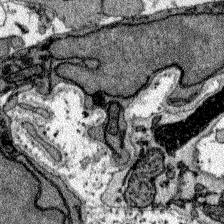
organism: Zebrafish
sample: Larval olfactory bulb